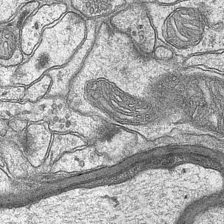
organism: Mouse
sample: CA1 Hippocampus